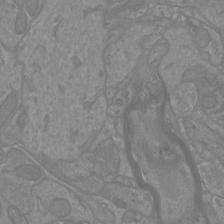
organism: Mouse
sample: Cortical neurons